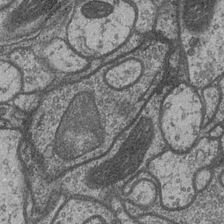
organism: Drosophila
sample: Optic medulla